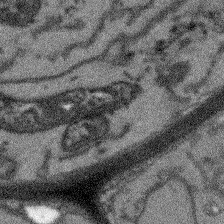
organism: Arabidopsis thaliana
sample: Root tip